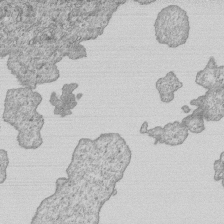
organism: Human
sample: MDA-MB-231 cells